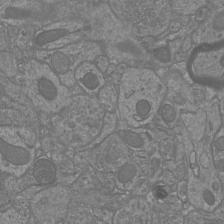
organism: Mouse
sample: Cortical neurons